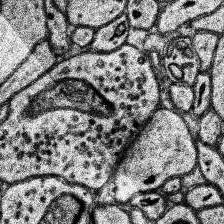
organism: Human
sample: Temporal Lobe